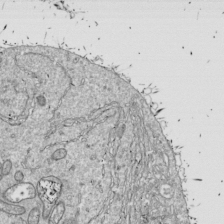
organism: Drosophila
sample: Cell division; meiosis; drosophila spermatocytes